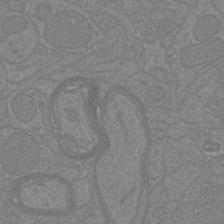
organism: Mouse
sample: Cortical neurons